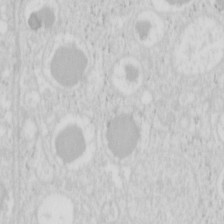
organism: Mouse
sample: Pancreas